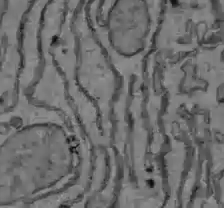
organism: C57BL Mouse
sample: Liver